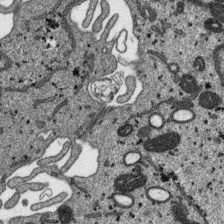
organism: Human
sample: Lung epithelial cells infected with SARS-CoV-2